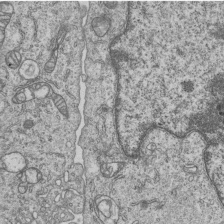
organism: Human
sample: MDA-MB-231 cells